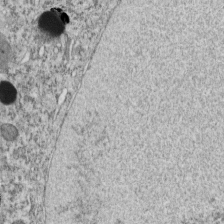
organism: C. elegans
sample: C. elegans embryo early stage